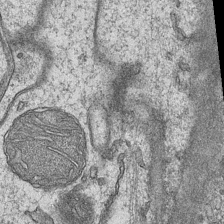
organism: Mouse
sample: CA1 Hippocampus